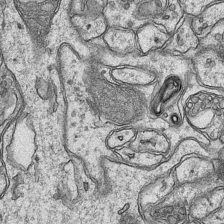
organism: Mouse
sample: CA1 Hippocampus